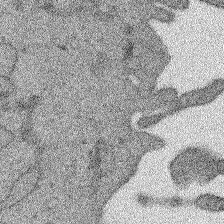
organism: Human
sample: HeLa cells